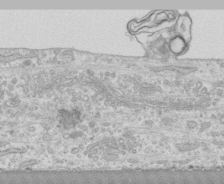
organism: Human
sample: CRL-1474